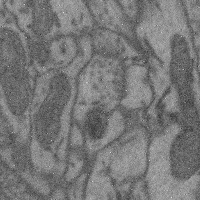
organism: Mouse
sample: Cerebral cortex